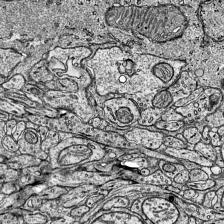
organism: Mouse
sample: Visual Cortex